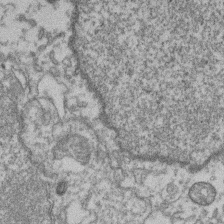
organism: Mouse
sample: T cell stromal cell synapse